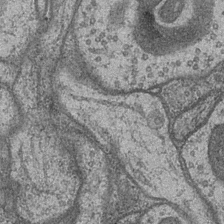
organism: Drosophila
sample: Optic medulla